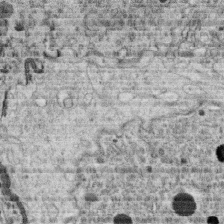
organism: C. elegans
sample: C. elegans oocyte; sperm cells